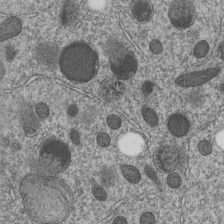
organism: C. elegans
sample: C. elegans embryo early stage